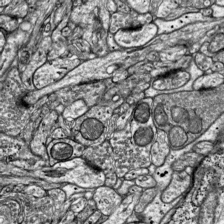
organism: Mouse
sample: Visual Cortex